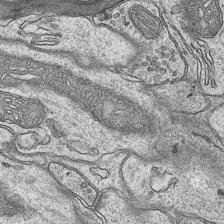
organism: Mouse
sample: CA1 Hippocampus